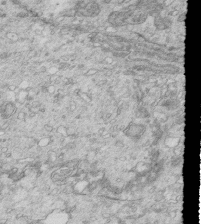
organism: Mouse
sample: Multiciliated cells